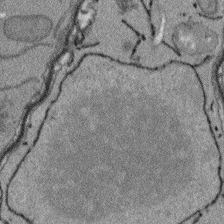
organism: Arabidopsis thaliana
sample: Root tip